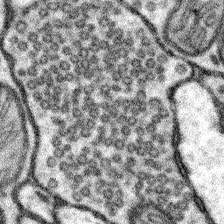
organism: Mouse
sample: Somatosensory cortex neuropil